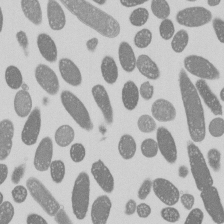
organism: E. coli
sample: Bacterial nucleoid